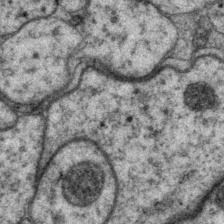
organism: P. pacificus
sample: Pharynx